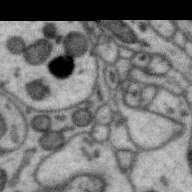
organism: Zebra finch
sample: Brain